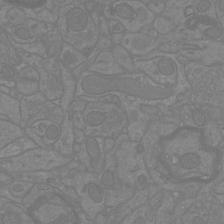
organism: Mouse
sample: Cortical neurons